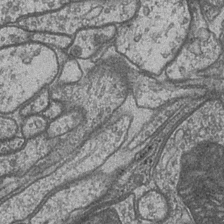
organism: Drosophila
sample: Optic medulla